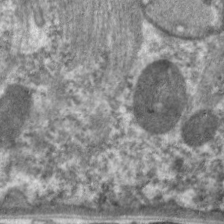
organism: C. elegans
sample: Pharynx